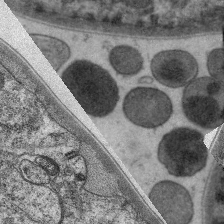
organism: C. elegans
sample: Pharynx